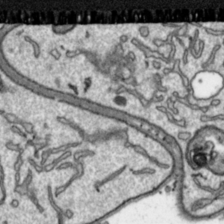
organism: Toxoplasma gondii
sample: Parasites in a vacuole inside a host cell